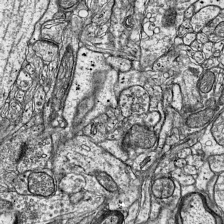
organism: Mouse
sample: Visual Cortex